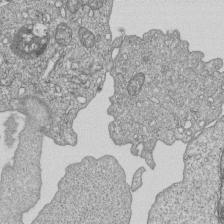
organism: Human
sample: MDA-MB-231 cells